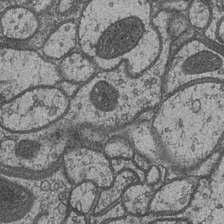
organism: Drosophila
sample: Optic medulla